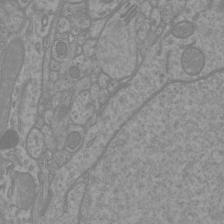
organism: Mouse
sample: Cortical neurons